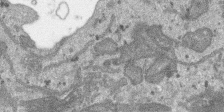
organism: Human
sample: Lung epithelial cells infected with SARS-CoV-2